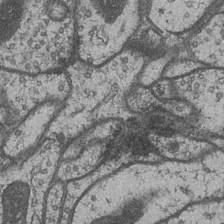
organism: Drosophila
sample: Optic medulla